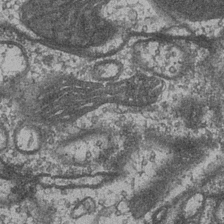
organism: Drosophila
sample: Optic medulla